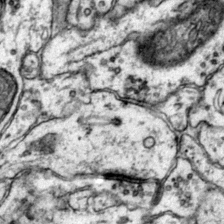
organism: Mouse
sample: Primary visual cortex